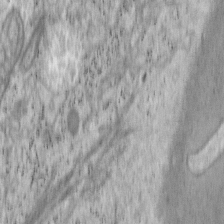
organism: Human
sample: HeLa cells